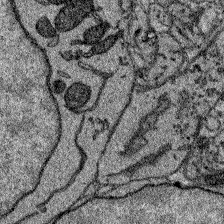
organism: Zebrafish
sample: Larval olfactory bulb